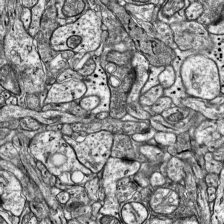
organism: Mouse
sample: Visual Cortex